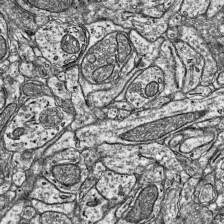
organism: Mouse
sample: Visual Cortex